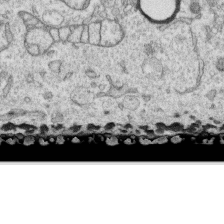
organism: Human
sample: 1205lu cells